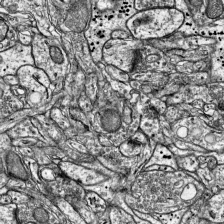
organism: Mouse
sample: Visual Cortex